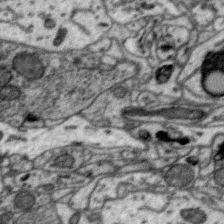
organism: Zebra finch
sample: Brain